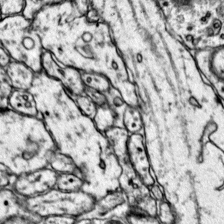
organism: Mouse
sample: Primary visual cortex